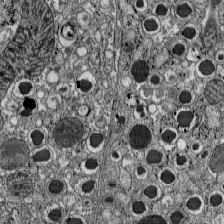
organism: C57BL Mouse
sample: Pancreatic islet